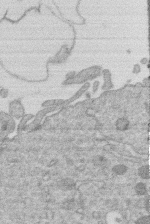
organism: Human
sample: Macrophage cells